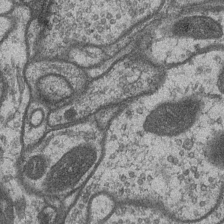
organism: Drosophila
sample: Optic medulla